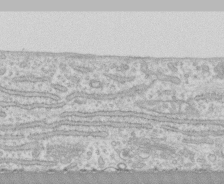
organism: Human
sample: CRL-1474